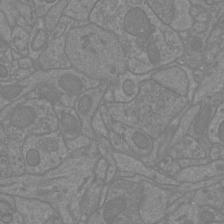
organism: Mouse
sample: Cortical neurons